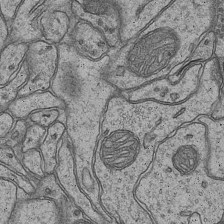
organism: Mouse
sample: CA1 Hippocampus